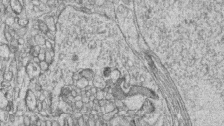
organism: Zebrafish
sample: synaptic ribbons in rod cells and cone cells